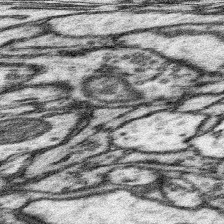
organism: Mouse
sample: Somatosensory cortex neuropil